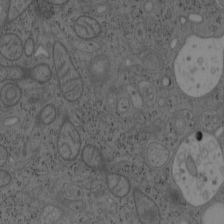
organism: Mouse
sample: OT-I killer T cells with ID8 ovarian cancer cells